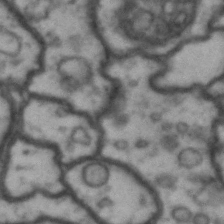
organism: Drosophila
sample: Brain